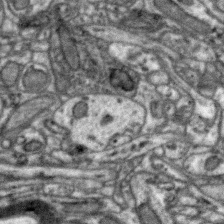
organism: Zebra finch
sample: Brain